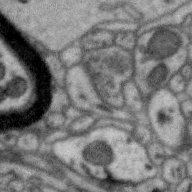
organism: Zebra finch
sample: Brain